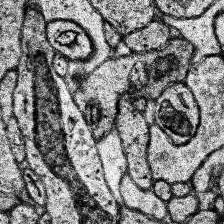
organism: Human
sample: Temporal Lobe